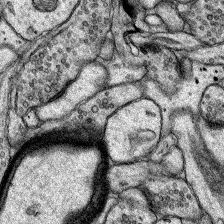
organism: Rat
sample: Hippocampus